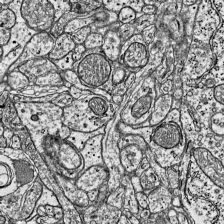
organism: Mouse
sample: Visual Cortex